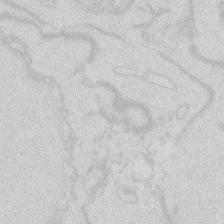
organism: Zebrafish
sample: Macrophage